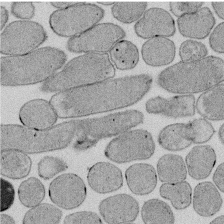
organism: E. coli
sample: Bacterial nucleoid